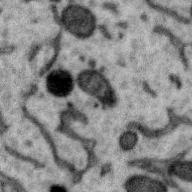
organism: Zebra finch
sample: Brain